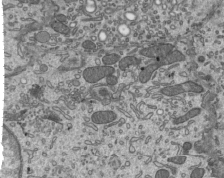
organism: Mouse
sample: Mouse epididymis efferent ductule cilia